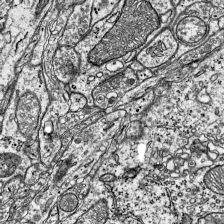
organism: Mouse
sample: Visual Cortex